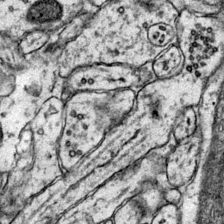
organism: Mouse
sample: Primary visual cortex